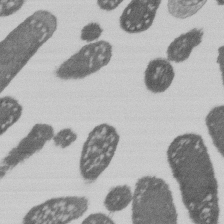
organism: E. coli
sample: Bacterial nucleoid